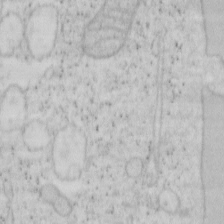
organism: Human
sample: HeLa cells